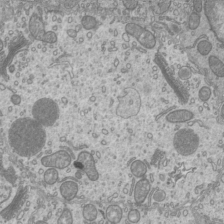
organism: Mouse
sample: Cilia; mouse epididymis